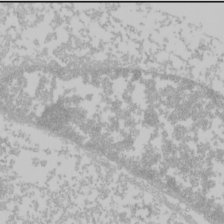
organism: Mouse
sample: Cancer cell death in ED-1 cells